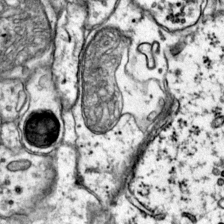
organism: Mouse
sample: Primary visual cortex